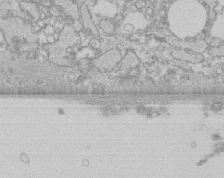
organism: Human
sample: CRL-1474